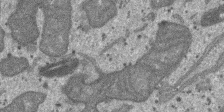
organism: Human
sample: Lung epithelial cells infected with SARS-CoV-2